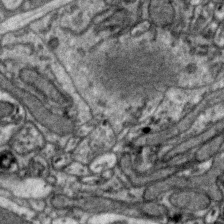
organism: Zebra finch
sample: Brain